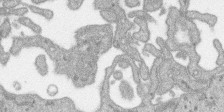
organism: Human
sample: Lung epithelial cells infected with SARS-CoV-2